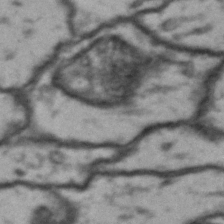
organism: Drosophila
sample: Brain